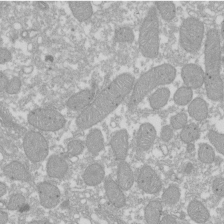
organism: Xenopus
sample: Cilia; centrioles in frog embryo cells